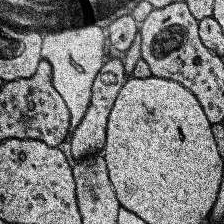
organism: Human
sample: Temporal Lobe